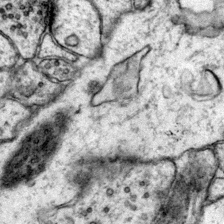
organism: Mouse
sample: Primary visual cortex